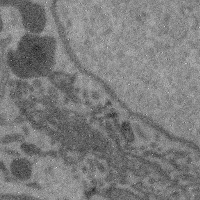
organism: Mouse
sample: Cerebral cortex